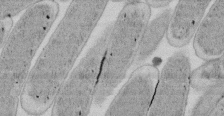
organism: E. coli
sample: Bacterial nucleoid